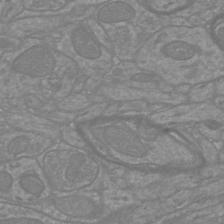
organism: Mouse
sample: Cortical neurons